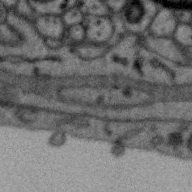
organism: Zebra finch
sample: Brain